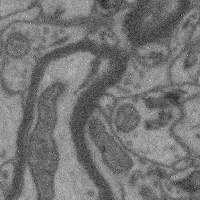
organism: Mouse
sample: Cerebral cortex